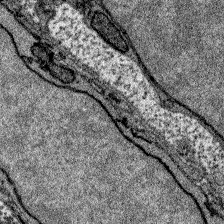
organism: Zebrafish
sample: Larval olfactory bulb